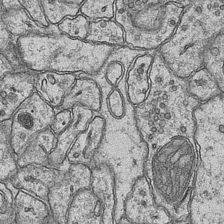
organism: Mouse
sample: CA1 Hippocampus